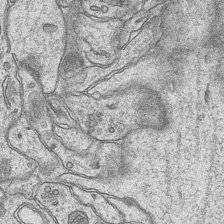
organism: Mouse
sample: CA1 Hippocampus